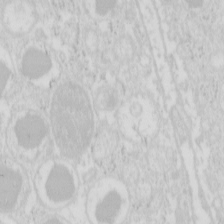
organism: Mouse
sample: Pancreas